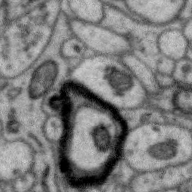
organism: Zebra finch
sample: Brain